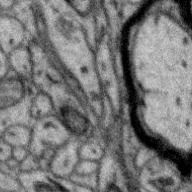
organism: Zebra finch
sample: Brain